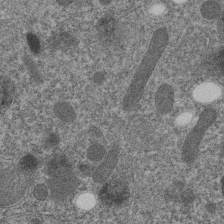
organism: C. elegans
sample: C. elegans embryo early stage